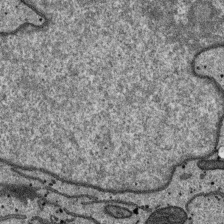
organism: Human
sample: Lung epithelial cells, uninfected (mock) control